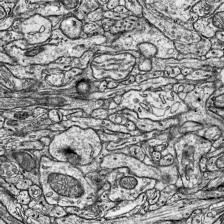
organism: Mouse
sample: Visual Cortex